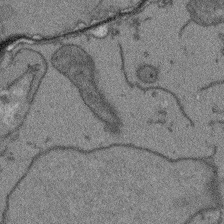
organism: Arabidopsis thaliana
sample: Root tip